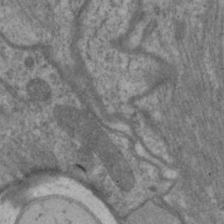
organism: C. elegans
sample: Pharynx